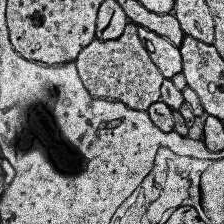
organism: Human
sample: Temporal Lobe